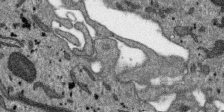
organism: Human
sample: Lung epithelial cells, uninfected (mock) control